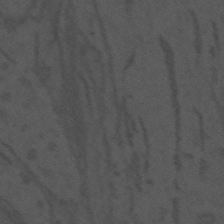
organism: Mouse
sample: Suprachiasmatic nucleus